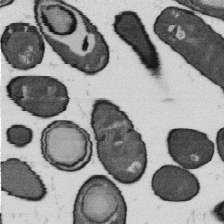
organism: B. subtilis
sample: Bacterial spore